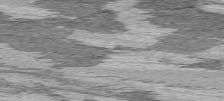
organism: C57BL Mouse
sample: Heart